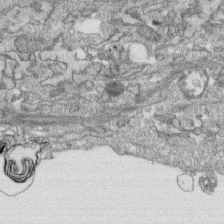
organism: Human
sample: CRL-1474